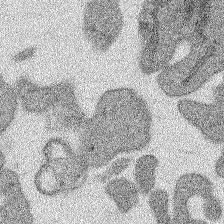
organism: Human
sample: HeLa cells